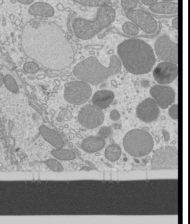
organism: Mouse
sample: Cilia; mouse epididymis